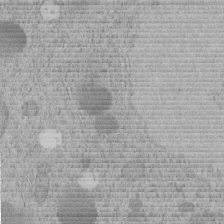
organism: C. elegans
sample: C. elegans embryo early stage